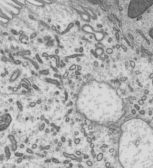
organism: Mouse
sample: Mouse epididymis efferent ductule cilia